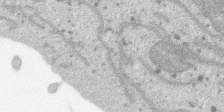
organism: Human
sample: Lung epithelial cells infected with SARS-CoV-2